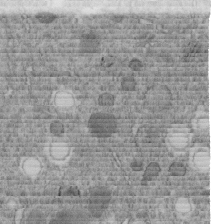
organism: C. elegans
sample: C. elegans embryo early stage